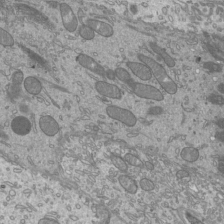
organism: Mouse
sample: Cilia; mouse epididymis